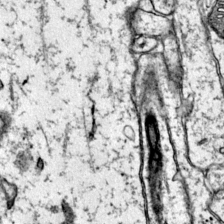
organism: Mouse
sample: Primary visual cortex